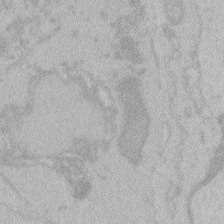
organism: Zebrafish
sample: Macrophage infected with Toxoplasma gondii